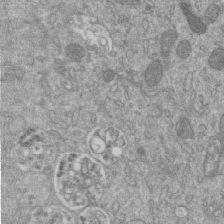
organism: Mouse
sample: ED-1 cell nuclei; centrioles